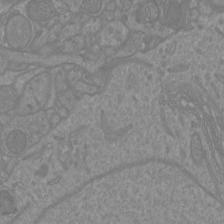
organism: Mouse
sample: Cortical neurons